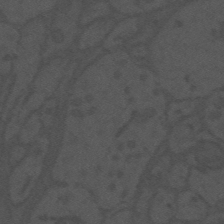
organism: Mouse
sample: Suprachiasmatic nucleus